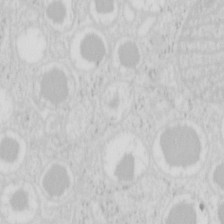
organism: Mouse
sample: Pancreas